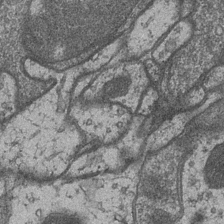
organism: Drosophila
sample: Optic medulla